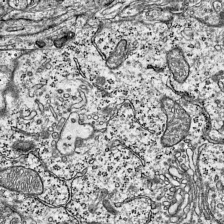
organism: Mouse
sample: Visual Cortex